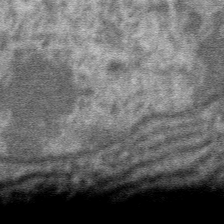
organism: Mouse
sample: Mouse hepatocytes